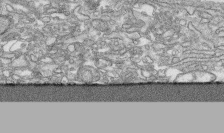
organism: Human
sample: CRL-1474